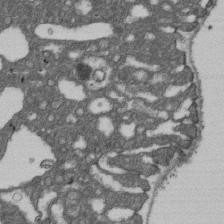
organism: Drosophila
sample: Nephrocyte